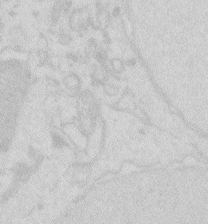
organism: Zebrafish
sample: Macrophage